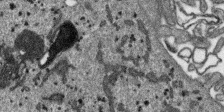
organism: Human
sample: Lung epithelial cells infected with SARS-CoV-2